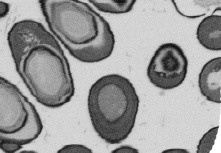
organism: B. subtilis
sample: Bacterial spore